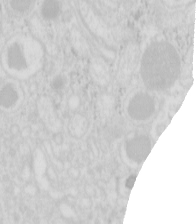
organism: Mouse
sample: Pancreas